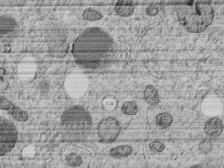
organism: C. elegans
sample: C. elegans embryo early stage